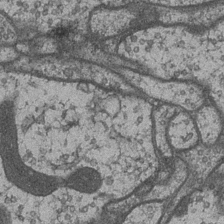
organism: Drosophila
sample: Optic medulla